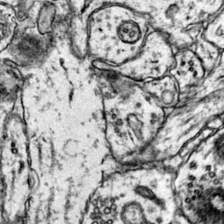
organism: Mouse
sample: Primary visual cortex